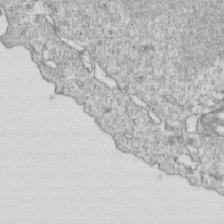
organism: Mouse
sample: Activated OT-1 CD8+ T cells